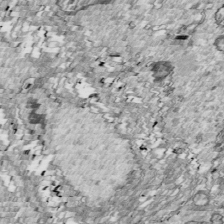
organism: Drosophila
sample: Cell division; meiosis; drosophila spermatocytes